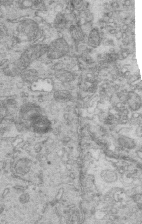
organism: Mouse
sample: Multiciliated cells